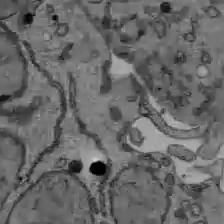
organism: C57BL Mouse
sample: Liver